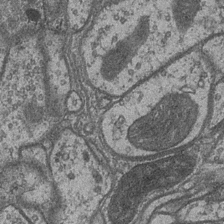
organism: Drosophila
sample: Optic medulla